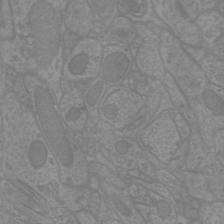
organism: Mouse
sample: Cortical neurons